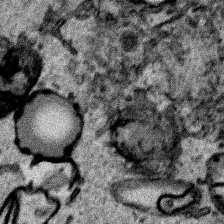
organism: Human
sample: Mitochondria in HCT116 cells